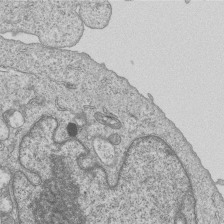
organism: Human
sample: MDA-MB-231 cells